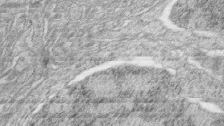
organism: Zebrafish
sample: synaptic ribbons in rod cells and cone cells